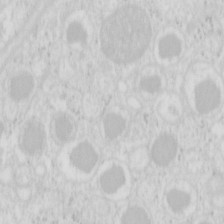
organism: Mouse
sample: Pancreas